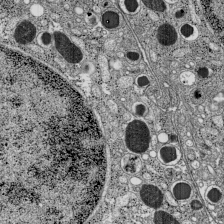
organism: C57BL Mouse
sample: Pancreatic islet